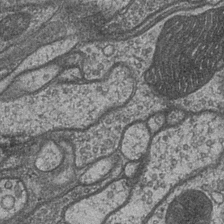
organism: Drosophila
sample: Optic medulla